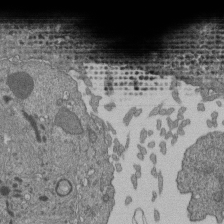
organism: Human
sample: Retinal organoid Rod and Cone cells